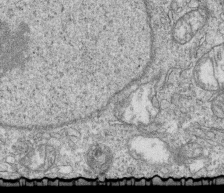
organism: Human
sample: HeLa cell HIV synapse